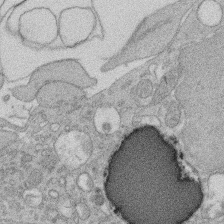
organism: Rat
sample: Salivary granule